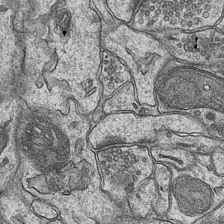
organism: Mouse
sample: CA1 Hippocampus